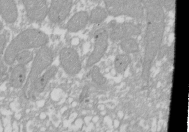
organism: Xenopus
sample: Cilia; centrioles in frog embryo cells